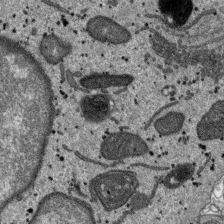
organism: Human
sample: Lung epithelial cells, uninfected (mock) control